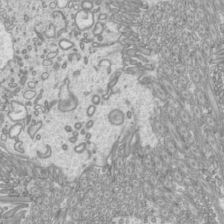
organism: Mouse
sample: Cilia; mouse epididymis